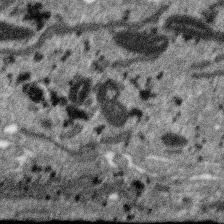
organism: Human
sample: Lung epithelial cells infected with SARS-CoV-2